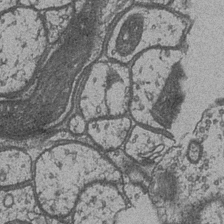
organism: Drosophila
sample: Optic medulla